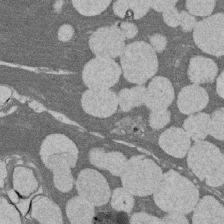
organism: Rat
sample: Salivary granule